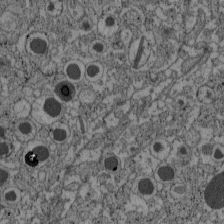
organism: C57BL Mouse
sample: Pancreatic islet